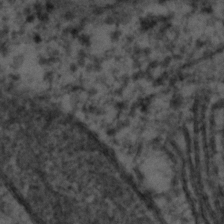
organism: C. elegans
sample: C. elegans embryo